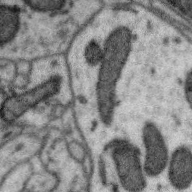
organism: Zebra finch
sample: Brain